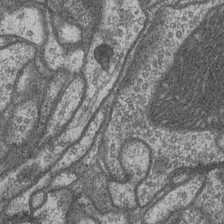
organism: Drosophila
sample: Optic medulla